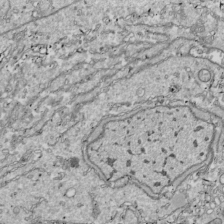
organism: Drosophila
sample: Cell division; meiosis; drosophila spermatocytes